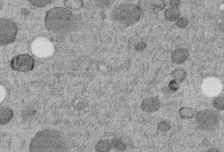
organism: C. elegans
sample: C. elegans embryo early stage